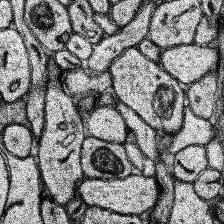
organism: Human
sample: Temporal Lobe